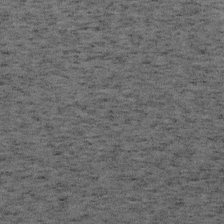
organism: Mouse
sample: OT-I killer T cells with ID8 ovarian cancer cells